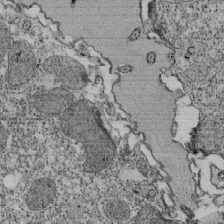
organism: Tetrahymena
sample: Cilia in tetrahymena